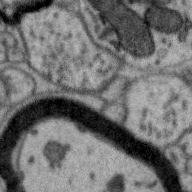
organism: Zebra finch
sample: Brain